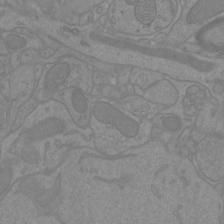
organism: Mouse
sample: Cortical neurons